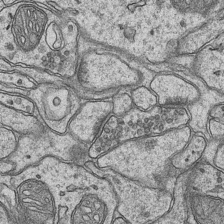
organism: Mouse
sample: CA1 Hippocampus